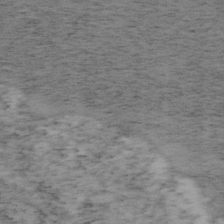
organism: Mouse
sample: OT-I killer T cells with ID8 ovarian cancer cells